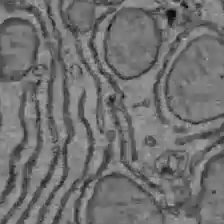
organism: C57BL Mouse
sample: Liver